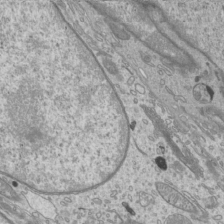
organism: Mouse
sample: Cilia; mouse epididymis